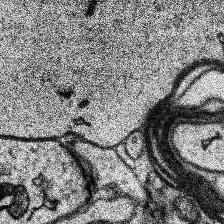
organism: Human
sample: Temporal Lobe